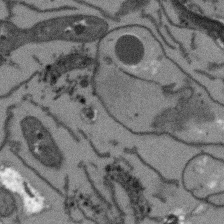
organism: Arabidopsis thaliana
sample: Root tip